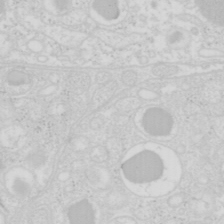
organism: Mouse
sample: Pancreas